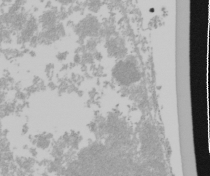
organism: Mouse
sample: Cancer cell death in ED-1 cells